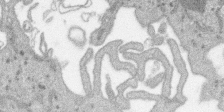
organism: Human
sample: Lung epithelial cells infected with SARS-CoV-2